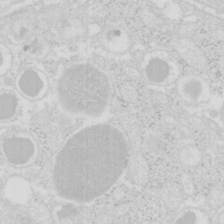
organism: Mouse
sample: Pancreas